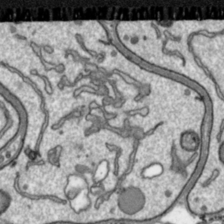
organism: Toxoplasma gondii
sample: Parasites in a vacuole inside a host cell